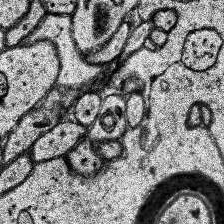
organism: Human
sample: Temporal Lobe